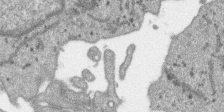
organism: Human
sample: Lung epithelial cells infected with SARS-CoV-2